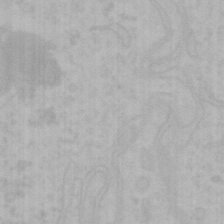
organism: Mouse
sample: Choroid plexus